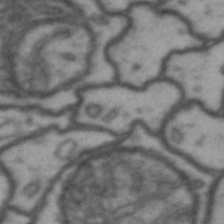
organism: Drosophila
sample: Brain